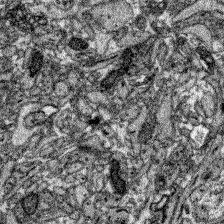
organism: Zebrafish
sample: Larval olfactory bulb